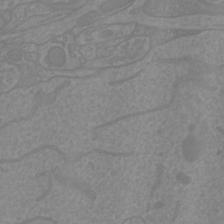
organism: Mouse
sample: Cortical neurons